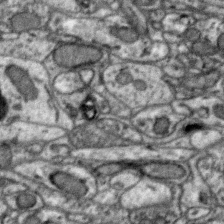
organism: Zebra finch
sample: Brain